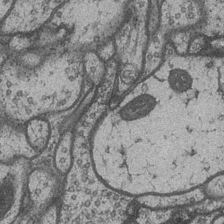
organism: Drosophila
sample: Optic medulla